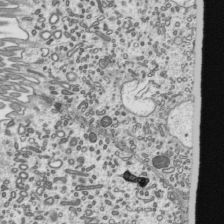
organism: Mouse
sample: Mouse epididymis efferent ductule cilia